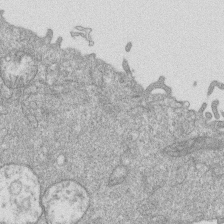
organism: Human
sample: HeLa cell HIV synapse